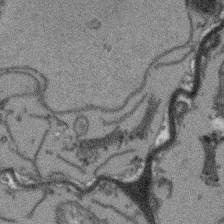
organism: Arabidopsis thaliana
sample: Root tip